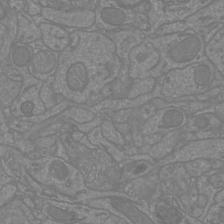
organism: Mouse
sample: Cortical neurons